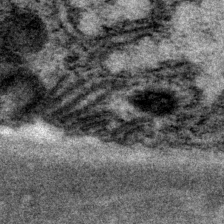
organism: P. pacificus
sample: Pharynx